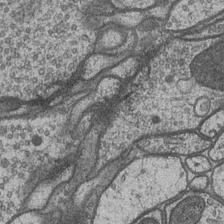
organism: Drosophila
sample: Optic medulla